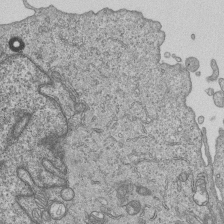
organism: Human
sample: MDA-MB-231 cells